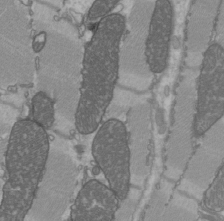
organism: C57BL Mouse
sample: Heart